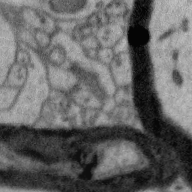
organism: Zebra finch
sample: Brain